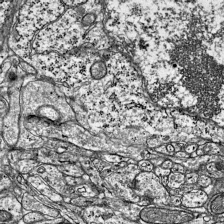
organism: Mouse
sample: Visual Cortex